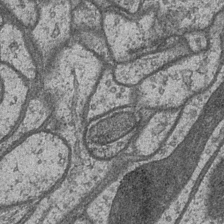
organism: Drosophila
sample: Optic medulla